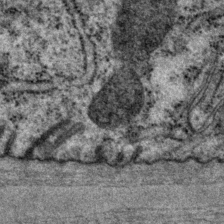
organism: P. pacificus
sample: Pharynx